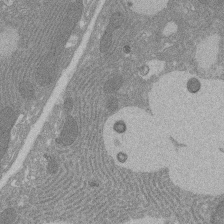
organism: Rat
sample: Salivary granule